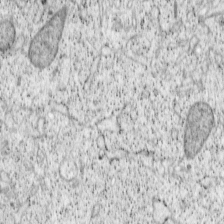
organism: African green monkey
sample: COS-7 cells